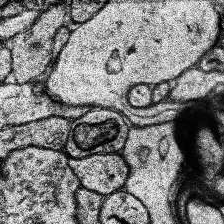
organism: Human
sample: Temporal Lobe